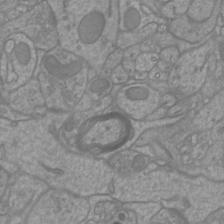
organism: Mouse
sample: Cortical neurons